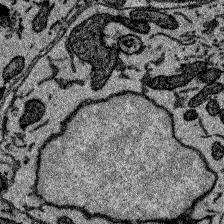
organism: Zebrafish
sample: Larval olfactory bulb